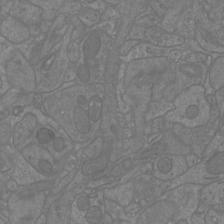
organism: Mouse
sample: Cortical neurons